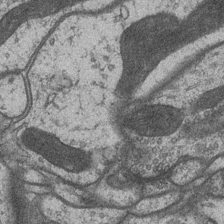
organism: Drosophila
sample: Optic medulla